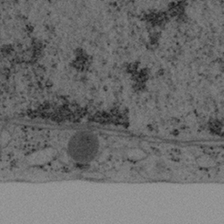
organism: Human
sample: HeLa cells